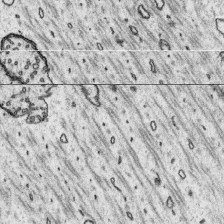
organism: Platynereis dumerilii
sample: Parapodia